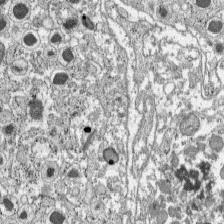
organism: C57BL Mouse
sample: Pancreatic islet